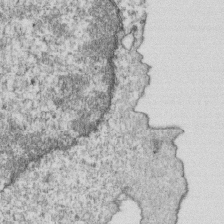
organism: Mouse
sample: Activated OT-1 CD8+ T cells